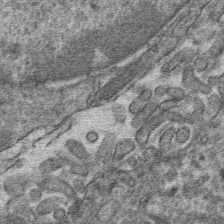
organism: Mouse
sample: Mouse hepatocytes